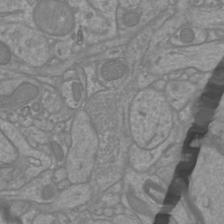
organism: Mouse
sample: Cortical neurons